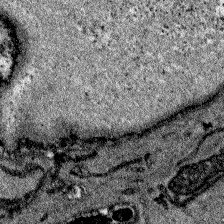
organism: Zebrafish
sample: Larval olfactory bulb